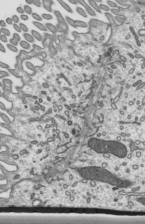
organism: Mouse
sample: Mouse epididymis efferent ductule cilia